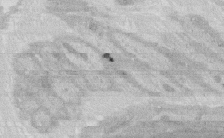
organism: Rat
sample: Salivary granule